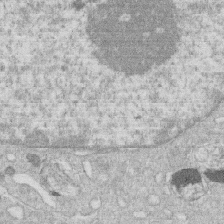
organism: Human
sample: Macrophage cells